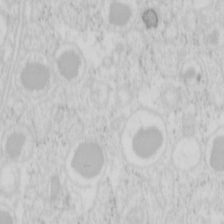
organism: Mouse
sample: Pancreas